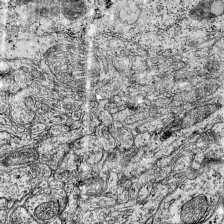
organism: Mouse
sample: Visual Cortex